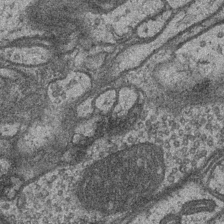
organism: Drosophila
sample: Optic medulla